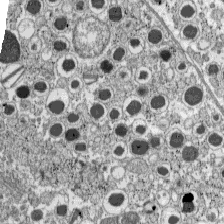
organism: C57BL Mouse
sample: Pancreatic islet